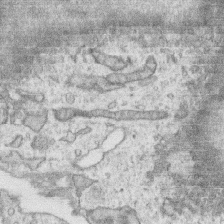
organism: Human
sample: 1205lu cells